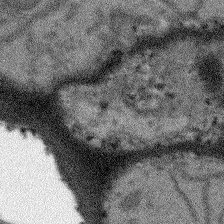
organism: Arabidopsis thaliana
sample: Root tip